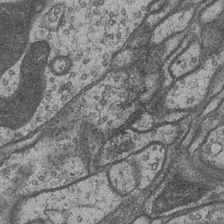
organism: Drosophila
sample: Optic medulla